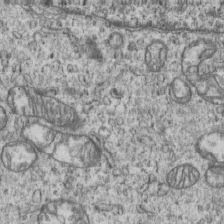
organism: Human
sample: MDA-MB-231 cells